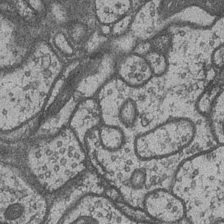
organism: Drosophila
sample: Optic medulla